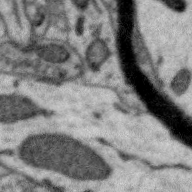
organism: Zebra finch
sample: Brain